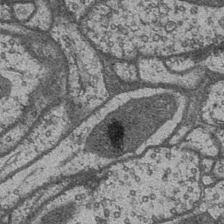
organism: Drosophila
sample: Optic medulla